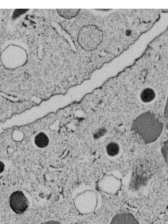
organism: C. elegans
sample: C. elegans embryo early stage